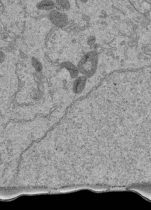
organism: Human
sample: Retinal organoid Rod and Cone cells